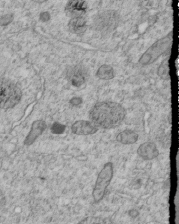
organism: C. elegans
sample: C. elegans embryo early stage